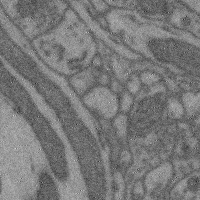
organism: Mouse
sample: Cerebral cortex